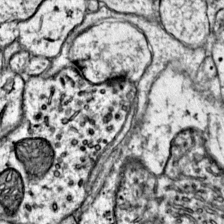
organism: Mouse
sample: Primary visual cortex